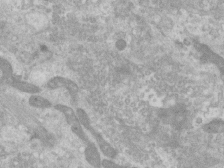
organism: Human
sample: Centriole in RPE cells